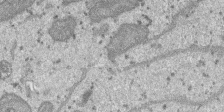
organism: Human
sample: Lung epithelial cells infected with SARS-CoV-2